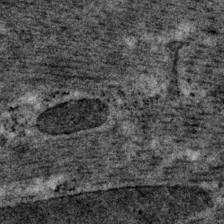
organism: P. pacificus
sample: Pharynx